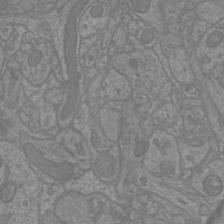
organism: Mouse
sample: Cortical neurons